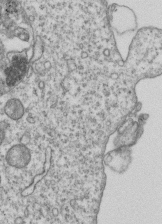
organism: Human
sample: MDA-MB-231 cells